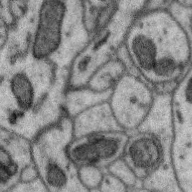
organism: Zebra finch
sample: Brain